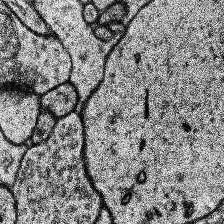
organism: Human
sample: Temporal Lobe